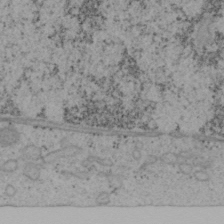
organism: Human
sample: HeLa cells